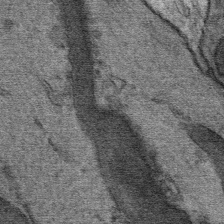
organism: Mouse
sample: Mouse Salivary gland